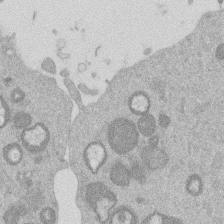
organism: Mouse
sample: Dividing mouse embryo 1 cell stage